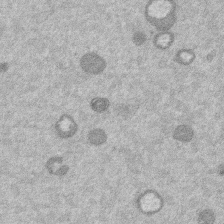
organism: Mouse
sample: Dividing mouse embryo 1 cell stage